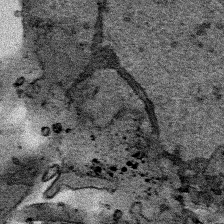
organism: Human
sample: Mitochondria in HCT116 cells